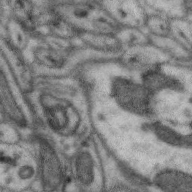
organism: Zebra finch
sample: Brain